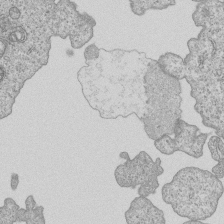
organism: Human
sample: MDA-MB-231 cells